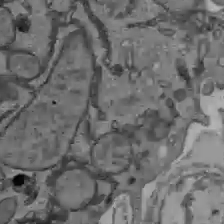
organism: C57BL Mouse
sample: Liver